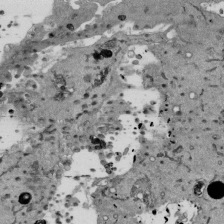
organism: Mouse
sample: ED-1 cell nuclei; centrioles